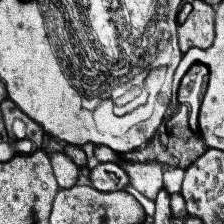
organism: Human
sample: Temporal Lobe